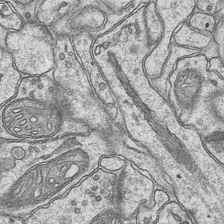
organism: Mouse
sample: CA1 Hippocampus